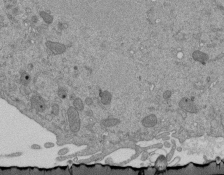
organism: Mouse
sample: ED-1 cell nuclei; centrioles